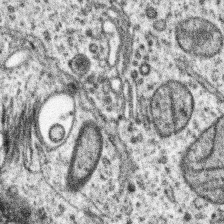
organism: Human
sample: HeLa cells